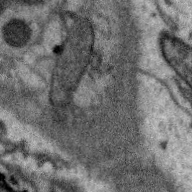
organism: Zebra finch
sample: Brain